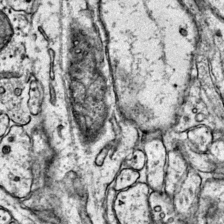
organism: Mouse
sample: Primary visual cortex